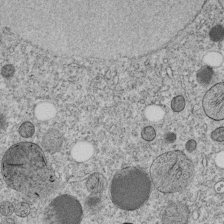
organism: C. elegans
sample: C. elegans embryo early stage